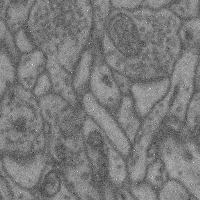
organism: Mouse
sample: Cerebral cortex